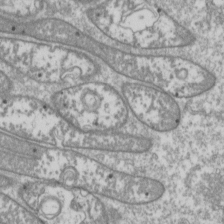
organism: Drosophila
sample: Cell division; meiosis; drosophila spermatocytes